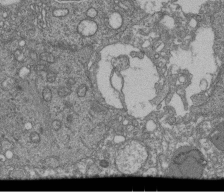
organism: Human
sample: Retinal organoid Rod and Cone cells